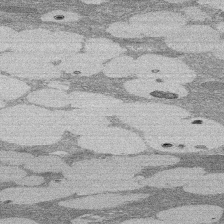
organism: Rat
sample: Salivary granule